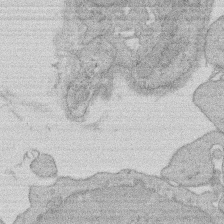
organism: Rat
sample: Salivary granule